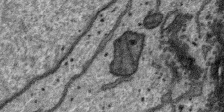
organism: Human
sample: Lung epithelial cells, uninfected (mock) control